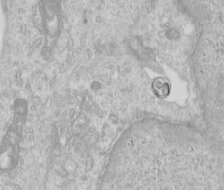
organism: Human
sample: Centriole in RPE cells